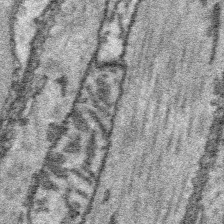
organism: Platynereis dumerilii